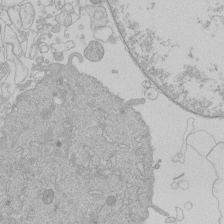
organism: Human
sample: Macrophage cells